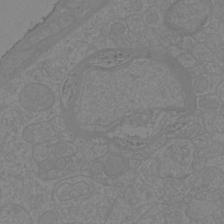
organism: Mouse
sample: Cortical neurons